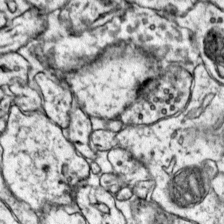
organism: Mouse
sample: Primary visual cortex